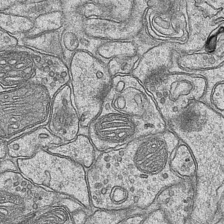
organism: Mouse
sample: CA1 Hippocampus